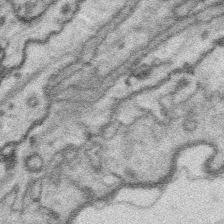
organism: Platynereis dumerilii